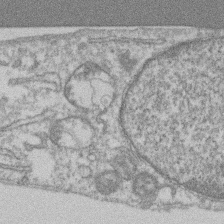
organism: Mouse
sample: T cell stromal cell synapse